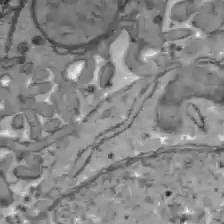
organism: C57BL Mouse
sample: Liver